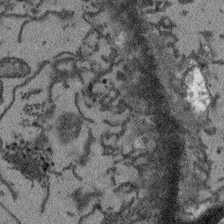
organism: Arabidopsis thaliana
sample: Root tip